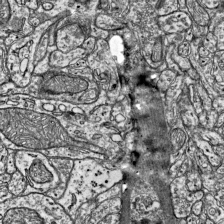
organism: Mouse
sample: Visual Cortex